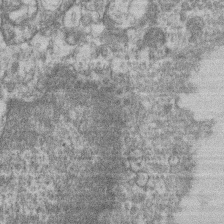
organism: Mouse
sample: T cell stromal cell synapse